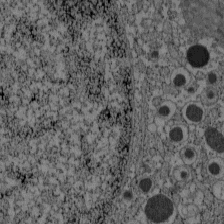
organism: C57BL Mouse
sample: Pancreatic islet